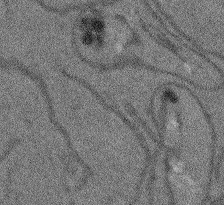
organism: Arabidopsis thaliana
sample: Root tip